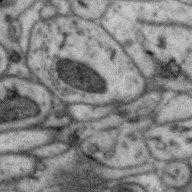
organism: Zebra finch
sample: Brain